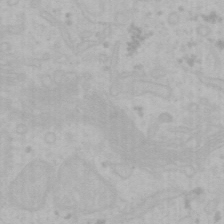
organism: Mouse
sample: Choroid plexus